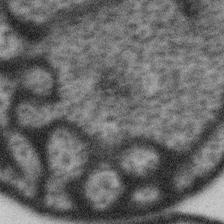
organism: Gemmata obscuriglobus